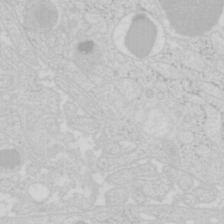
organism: Mouse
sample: Pancreas